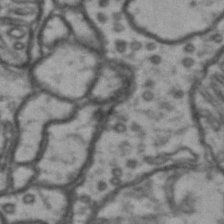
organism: Drosophila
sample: Brain